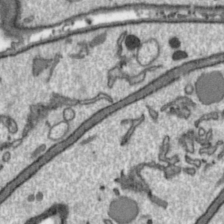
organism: Toxoplasma gondii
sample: Parasites in a vacuole inside a host cell